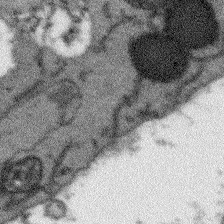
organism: Arabidopsis thaliana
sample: Root tip